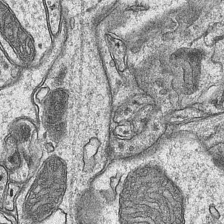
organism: Mouse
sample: CA1 Hippocampus